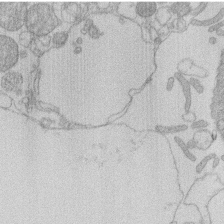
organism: Human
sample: Macrophage cells